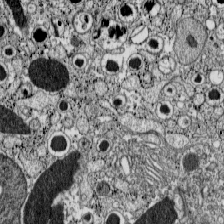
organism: C57BL Mouse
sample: Pancreatic islet